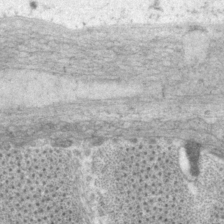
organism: P. pacificus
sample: Pharynx